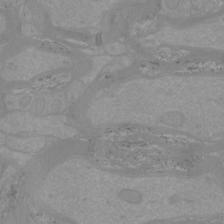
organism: Mouse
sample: Cortical neurons